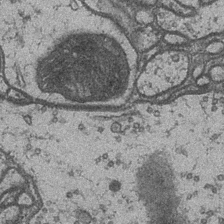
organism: Drosophila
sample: Optic medulla